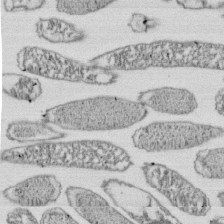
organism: E. coli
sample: Bacterial nucleoid